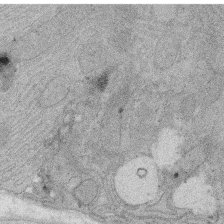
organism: Rat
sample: Salivary granule